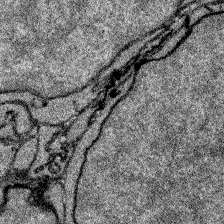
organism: Zebrafish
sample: Larval olfactory bulb